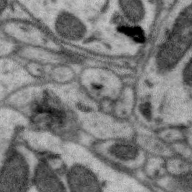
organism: Zebra finch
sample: Brain